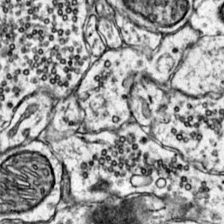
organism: Mouse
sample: Primary visual cortex